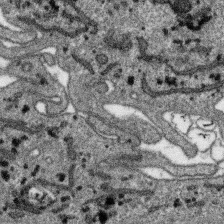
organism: Human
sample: Lung epithelial cells infected with SARS-CoV-2